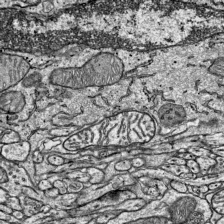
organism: Mouse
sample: Visual Cortex